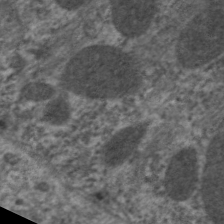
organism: C. elegans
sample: Pharynx